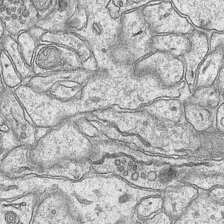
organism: Mouse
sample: CA1 Hippocampus